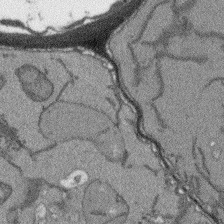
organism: Arabidopsis thaliana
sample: Root tip